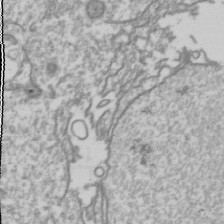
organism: Drosophila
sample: Cell division; meiosis; drosophila spermatocytes